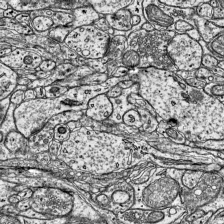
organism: Mouse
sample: Visual Cortex